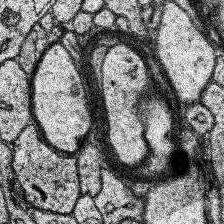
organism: Human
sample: Temporal Lobe